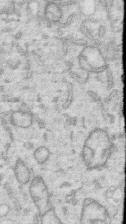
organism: Human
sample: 1205lu cells